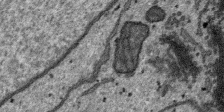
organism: Human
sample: Lung epithelial cells, uninfected (mock) control